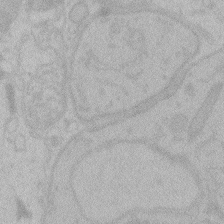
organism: Zebrafish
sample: Macrophage infected with Toxoplasma gondii